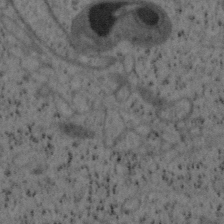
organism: Human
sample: HeLa cells